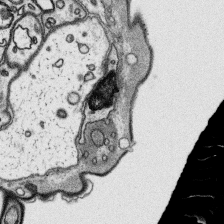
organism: Platynereis dumerilii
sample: Parapodia